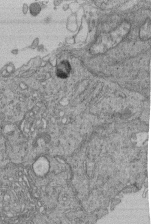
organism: Human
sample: Retinal organoid Rod and Cone cells